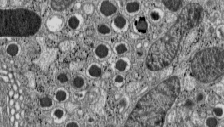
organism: C57BL Mouse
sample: Pancreatic islet